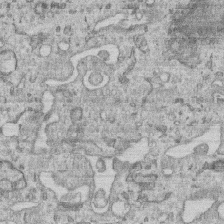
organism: Human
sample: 1205lu cells